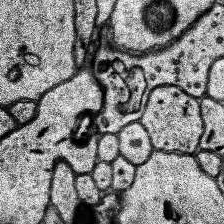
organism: Human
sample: Temporal Lobe